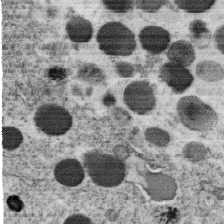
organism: C. elegans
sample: C. elegans oocyte; sperm cells